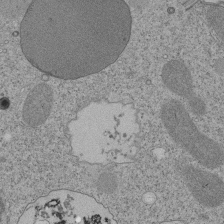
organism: Tetrahymena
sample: Cilia in tetrahymena